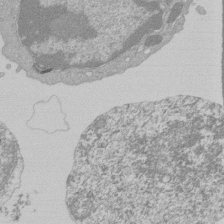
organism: Mouse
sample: Activated Pmel transgenic CD8+ T Cells